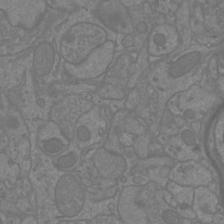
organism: Mouse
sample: Cortical neurons